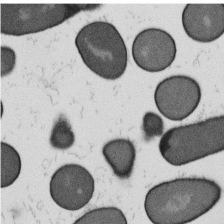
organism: B. subtilis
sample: Bacterial spore